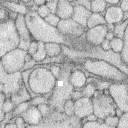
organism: Rabbit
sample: Retina